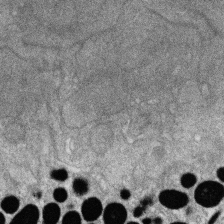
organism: Zebrafish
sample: Cilia; retinal pigment epithelium